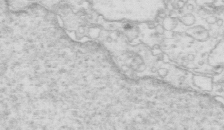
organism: Mouse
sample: Multiciliated cells